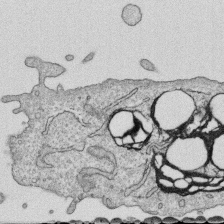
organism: Human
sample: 1205lu cells